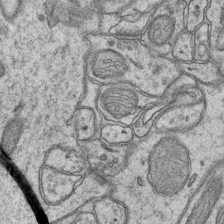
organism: Mouse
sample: CA1 Hippocampus